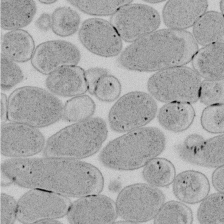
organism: E. coli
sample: Bacterial nucleoid